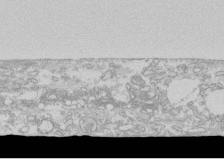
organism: Human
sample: CRL-1474